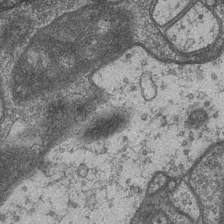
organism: Drosophila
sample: Optic medulla